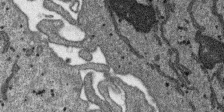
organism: Human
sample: Lung epithelial cells infected with SARS-CoV-2